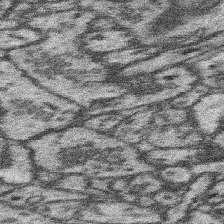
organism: Mouse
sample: Somatosensory cortex neuropil